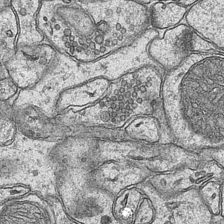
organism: Mouse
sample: CA1 Hippocampus